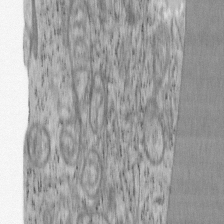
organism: Human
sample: HeLa cells